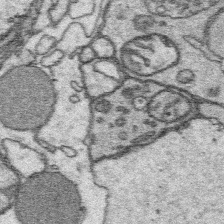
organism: Platynereis dumerilii